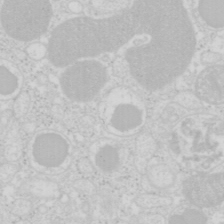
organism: Mouse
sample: Pancreas